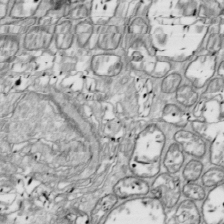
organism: Drosophila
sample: Cell division; meiosis; drosophila spermatocytes